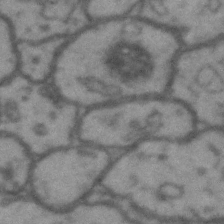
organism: Drosophila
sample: Brain